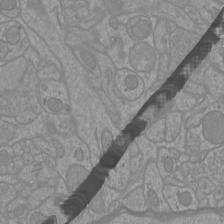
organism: Mouse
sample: Cortical neurons